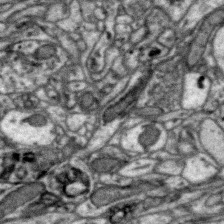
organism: Zebra finch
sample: Brain